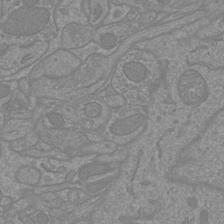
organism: Mouse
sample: Cortical neurons